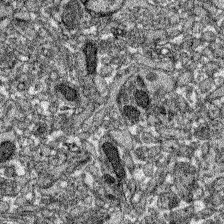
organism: Zebrafish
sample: Larval olfactory bulb